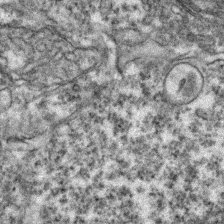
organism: Zebrafish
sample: Zebrafish embryo